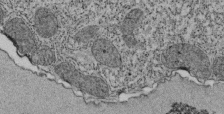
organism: Tetrahymena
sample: Cilia in tetrahymena